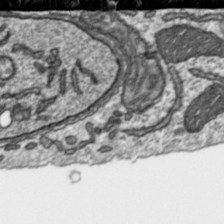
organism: Toxoplasma gondii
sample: Parasites in a vacuole inside a host cell